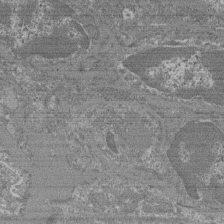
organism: Mouse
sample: Glomerulus